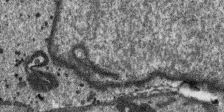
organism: Human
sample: Lung epithelial cells infected with SARS-CoV-2